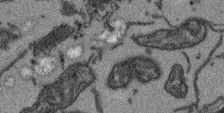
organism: Arabidopsis thaliana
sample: Root tip